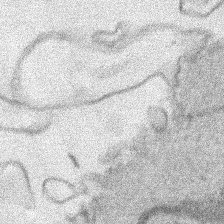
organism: Human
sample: Mitochondria in HCT116 cells